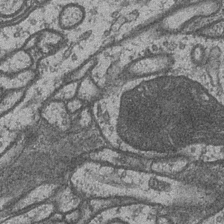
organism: Drosophila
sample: Optic medulla